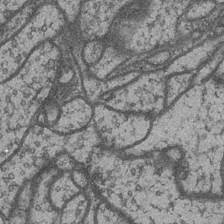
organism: Drosophila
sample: Optic medulla